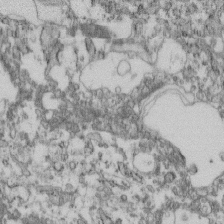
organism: Mouse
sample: Cilia; retinal pigment epithelium